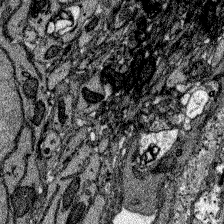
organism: Zebrafish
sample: Larval olfactory bulb